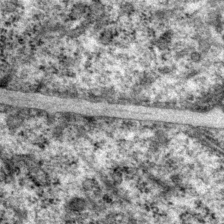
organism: P. pacificus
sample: Pharynx